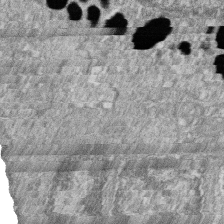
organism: Zebrafish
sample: Cilia; retinal pigment epithelium